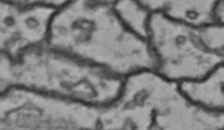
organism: Drosophila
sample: Brain